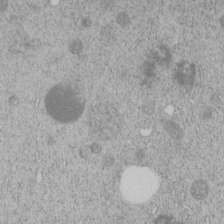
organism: C. elegans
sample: C. elegans embryo early stage